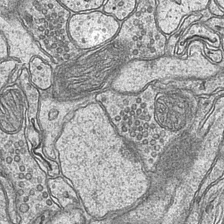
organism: Mouse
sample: CA1 Hippocampus